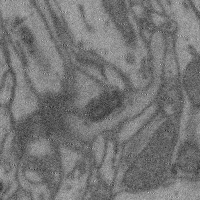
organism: Mouse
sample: Cerebral cortex